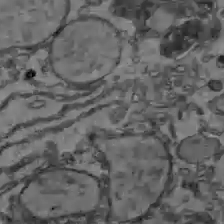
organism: C57BL Mouse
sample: Liver